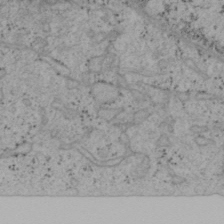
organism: Human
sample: HeLa cells